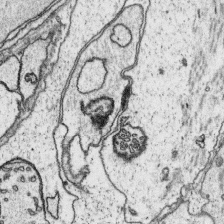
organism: Platynereis dumerilii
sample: Parapodia